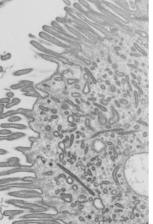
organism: Mouse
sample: Mouse epididymis efferent ductule cilia